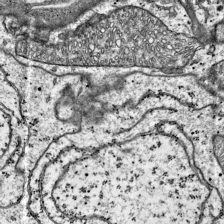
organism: Mouse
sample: Visual Cortex